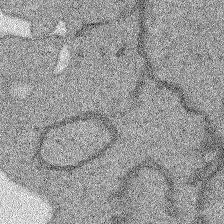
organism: Human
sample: HeLa cells